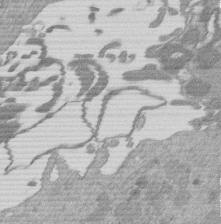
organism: Mouse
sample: Dividing mouse embryo 1 cell stage